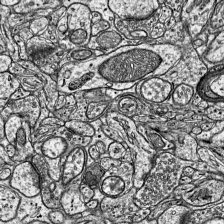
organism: Mouse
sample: Visual Cortex